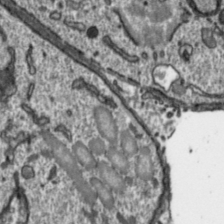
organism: Toxoplasma gondii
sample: Parasites in a vacuole inside a host cell